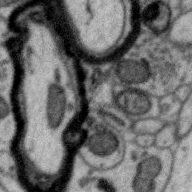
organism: Zebra finch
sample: Brain